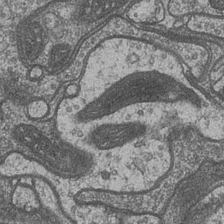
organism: Drosophila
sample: Optic medulla